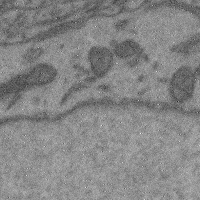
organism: Mouse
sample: Cerebral cortex